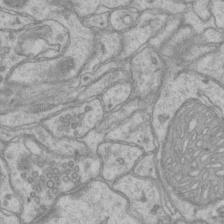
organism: Mouse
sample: CA1 Hippocampus